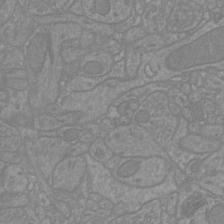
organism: Mouse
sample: Cortical neurons